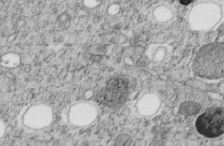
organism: C. elegans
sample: C. elegans embryo early stage